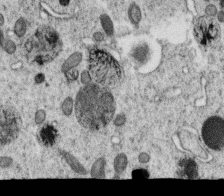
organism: C. elegans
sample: C. elegans oocyte; sperm cells